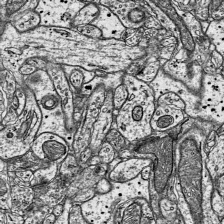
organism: Mouse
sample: Visual Cortex